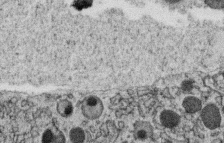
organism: C. elegans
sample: C. elegans oocyte; sperm cells